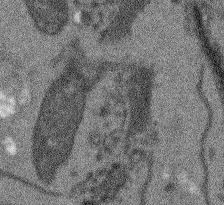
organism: Arabidopsis thaliana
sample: Root tip